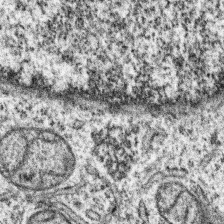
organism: Human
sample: HeLa cells